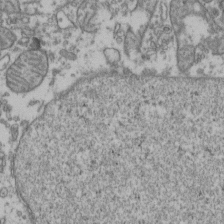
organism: Human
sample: Activated Jurkat CD4+ T cells